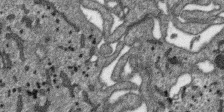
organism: Human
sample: Lung epithelial cells infected with SARS-CoV-2